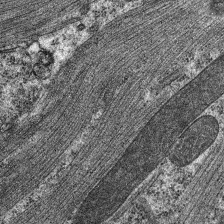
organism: C. elegans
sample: Pharynx